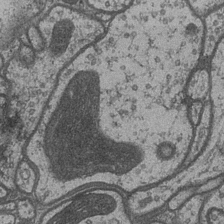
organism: Drosophila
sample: Optic medulla